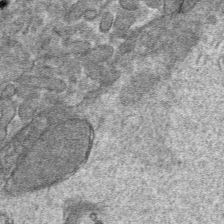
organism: Mouse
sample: Mouse hepatocytes